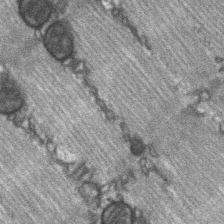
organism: C57BL Mouse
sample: Soleus